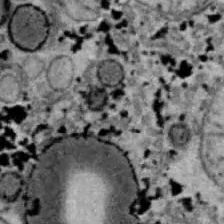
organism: Mouse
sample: Liver from an obese (ob/ob) mouse